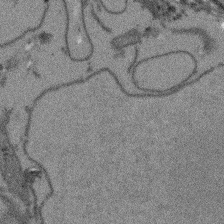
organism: Arabidopsis thaliana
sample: Root tip